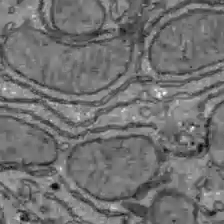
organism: C57BL Mouse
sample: Liver